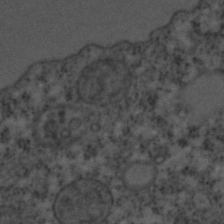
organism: C. elegans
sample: C. elegans embryo